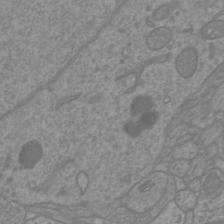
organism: Mouse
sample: Cortical neurons